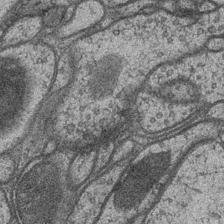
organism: Drosophila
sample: Optic medulla